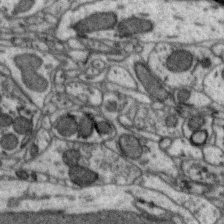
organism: Zebra finch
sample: Brain